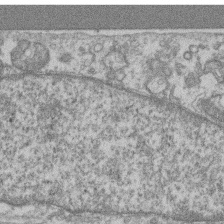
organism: Mouse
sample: T cell stromal cell synapse